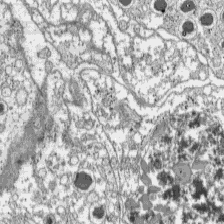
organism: C57BL Mouse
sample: Pancreatic islet